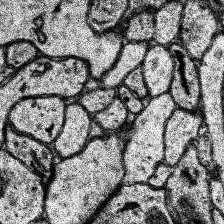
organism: Human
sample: Temporal Lobe